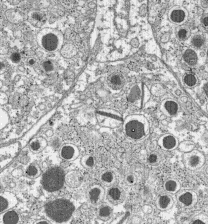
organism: C57BL Mouse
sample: Pancreatic islet